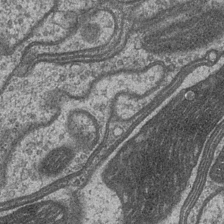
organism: Drosophila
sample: Optic medulla